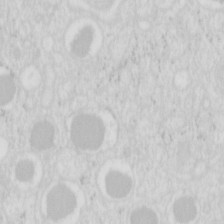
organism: Mouse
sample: Pancreas